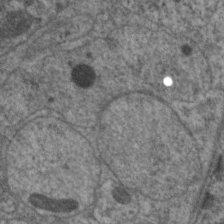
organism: C. elegans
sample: Pharynx